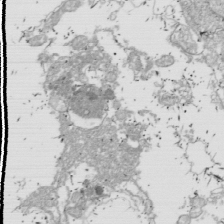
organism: Drosophila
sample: Cell division; meiosis; drosophila spermatocytes